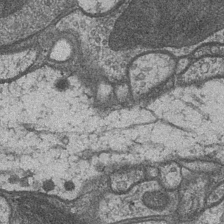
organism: Drosophila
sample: Optic medulla